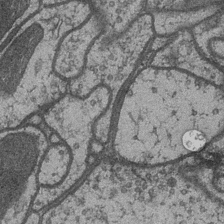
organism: Drosophila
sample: Optic medulla